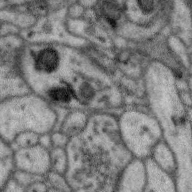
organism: Zebra finch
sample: Brain